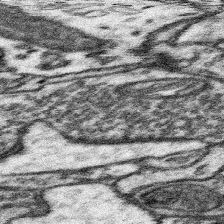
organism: Mouse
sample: Somatosensory cortex neuropil